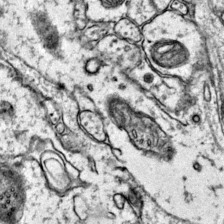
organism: Mouse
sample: Primary visual cortex